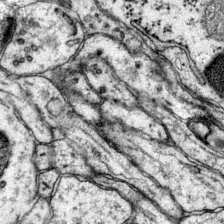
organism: Mouse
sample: Primary visual cortex